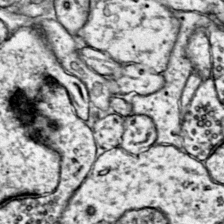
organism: Mouse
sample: Primary visual cortex